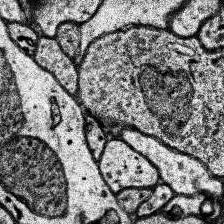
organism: Human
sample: Temporal Lobe